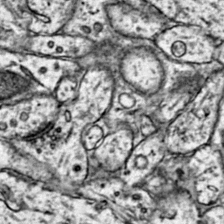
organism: Mouse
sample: Primary visual cortex